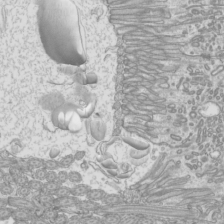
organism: Mouse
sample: Cilia; mouse epididymis